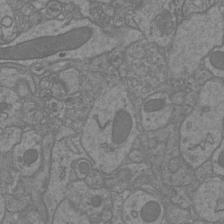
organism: Mouse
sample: Cortical neurons